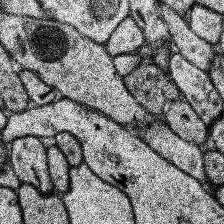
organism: Human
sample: Temporal Lobe